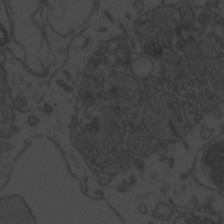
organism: Zebrafish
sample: Macrophage infected with Toxoplasma gondii